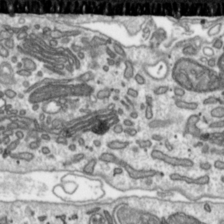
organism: Toxoplasma gondii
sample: Parasites in a vacuole inside a host cell